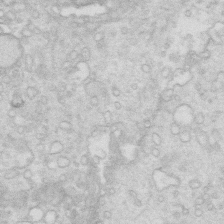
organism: Mouse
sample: Multiciliated cells